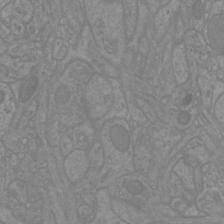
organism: Mouse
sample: Cortical neurons